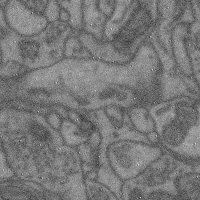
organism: Mouse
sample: Cerebral cortex